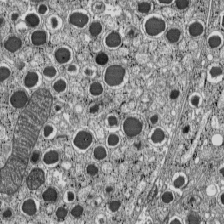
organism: C57BL Mouse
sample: Pancreatic islet